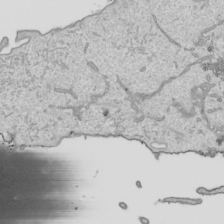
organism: Human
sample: Mitochondria in HCT116 cells